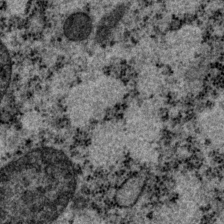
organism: P. pacificus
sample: Pharynx